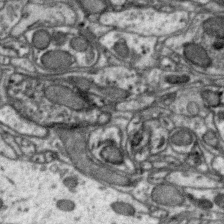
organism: Zebra finch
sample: Brain